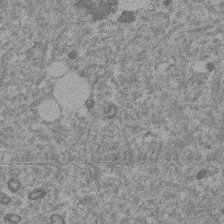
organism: Mouse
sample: Dividing mouse embryo 1 cell stage